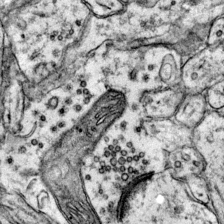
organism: Mouse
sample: Primary visual cortex